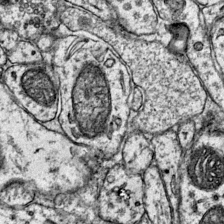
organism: Mouse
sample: Primary visual cortex